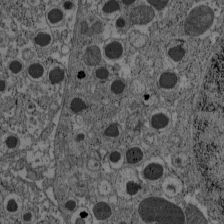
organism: C57BL Mouse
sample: Pancreatic islet